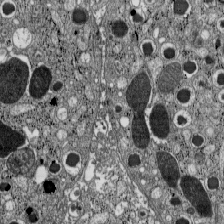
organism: C57BL Mouse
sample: Pancreatic islet